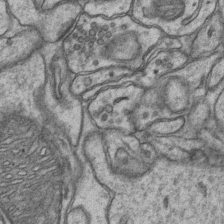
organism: Mouse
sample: CA1 Hippocampus